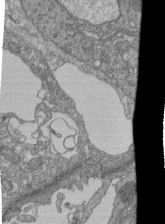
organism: Human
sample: Retinal organoid Rod and Cone cells